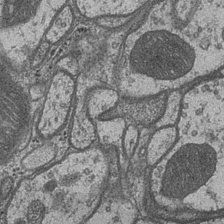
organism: Drosophila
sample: Optic medulla